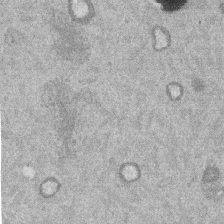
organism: Mouse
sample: Dividing mouse embryo 1 cell stage